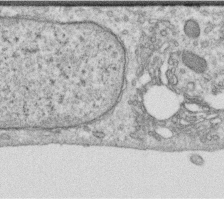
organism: Human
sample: Centriole in RPE cells